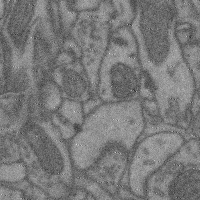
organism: Mouse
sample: Cerebral cortex